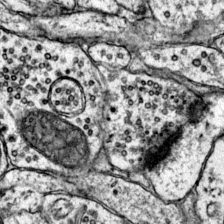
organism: Mouse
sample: Primary visual cortex